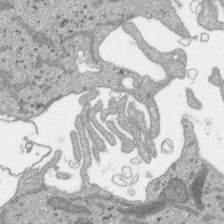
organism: Human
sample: Lung epithelial cells infected with SARS-CoV-2